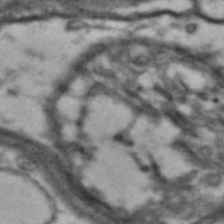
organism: Drosophila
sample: Brain